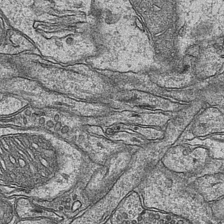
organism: Mouse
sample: CA1 Hippocampus